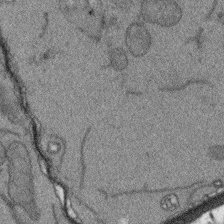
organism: Arabidopsis thaliana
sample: Root tip